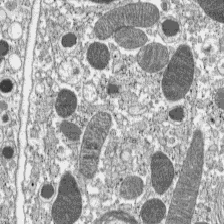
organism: C57BL Mouse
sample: Pancreatic islet